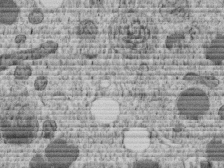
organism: C. elegans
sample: C. elegans embryo early stage